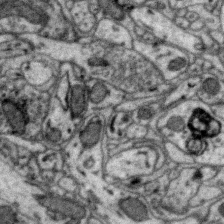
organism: Zebra finch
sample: Brain